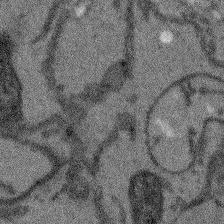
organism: Arabidopsis thaliana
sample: Root tip